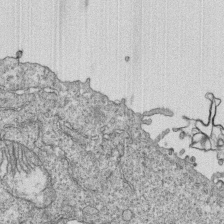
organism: Human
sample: HeLa cell HIV synapse